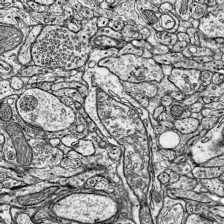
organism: Mouse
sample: Visual Cortex